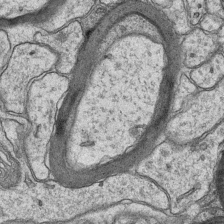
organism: Mouse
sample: CA1 Hippocampus